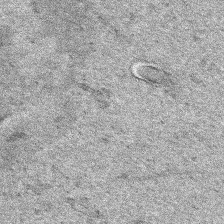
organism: Human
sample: Mitochondria in HCT116 cells